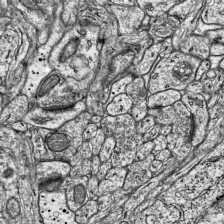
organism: Mouse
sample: Visual Cortex